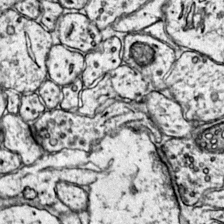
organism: Mouse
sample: Primary visual cortex